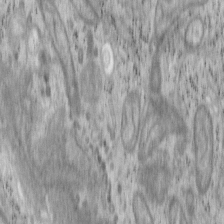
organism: Human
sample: HeLa cells